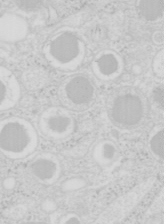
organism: Mouse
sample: Pancreas